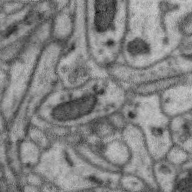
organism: Zebra finch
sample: Brain